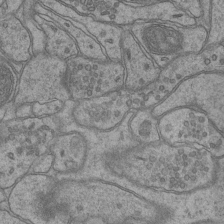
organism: Mouse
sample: CA1 Hippocampus